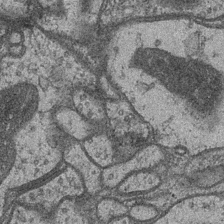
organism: Drosophila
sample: Optic medulla